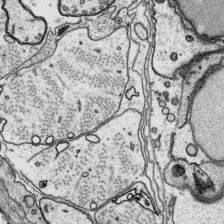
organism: Platynereis dumerilii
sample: Parapodia